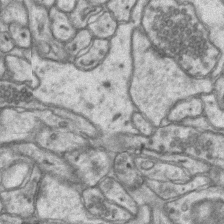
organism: Mouse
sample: CA1 Hippocampus